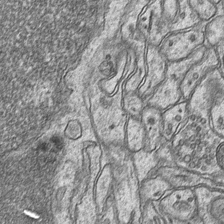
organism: Mouse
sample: CA1 Hippocampus